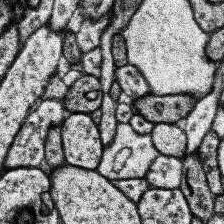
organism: Human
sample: Temporal Lobe